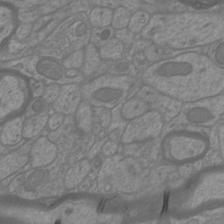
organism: Mouse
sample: Cortical neurons